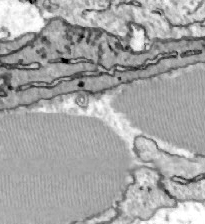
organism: Zebrafish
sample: Actinotrichia fibers